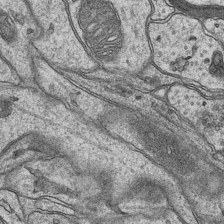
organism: Mouse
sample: CA1 Hippocampus